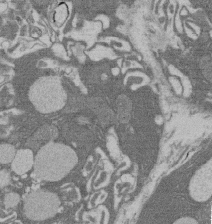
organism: Rat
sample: Salivary granule